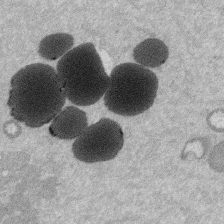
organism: Mouse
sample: Dividing mouse embryo 1 cell stage